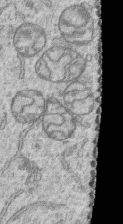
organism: Human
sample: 1205lu cells